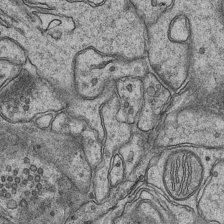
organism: Mouse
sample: CA1 Hippocampus